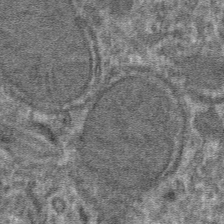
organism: Mouse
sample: Mouse hepatocytes